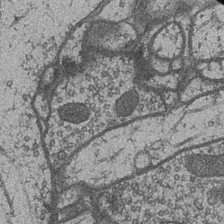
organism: Drosophila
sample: Optic medulla